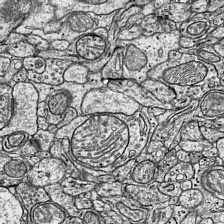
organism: Mouse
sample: Visual Cortex